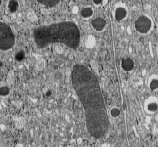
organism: C57BL Mouse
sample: Pancreatic islet